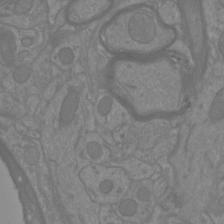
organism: Mouse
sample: Cortical neurons